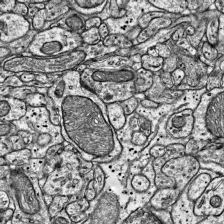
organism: Mouse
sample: Visual Cortex